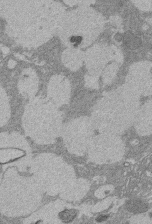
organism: Rat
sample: Salivary granule